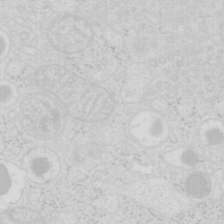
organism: Mouse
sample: Pancreas